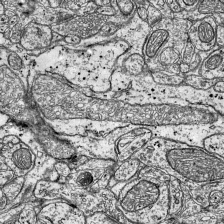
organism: Mouse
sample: Visual Cortex